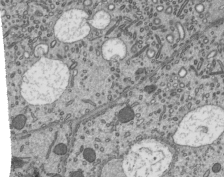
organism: Mouse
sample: Mouse epididymis efferent ductule cilia